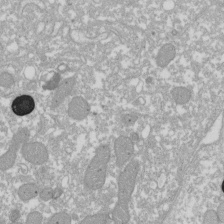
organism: Xenopus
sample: Cilia; centrioles in frog embryo cells